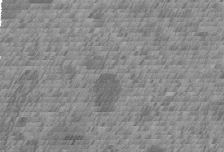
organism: C. elegans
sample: C. elegans embryo early stage